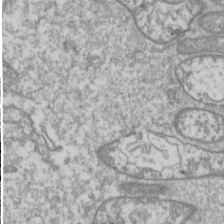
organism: Drosophila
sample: Cell division; meiosis; drosophila spermatocytes